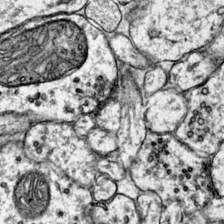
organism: Mouse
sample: Primary visual cortex